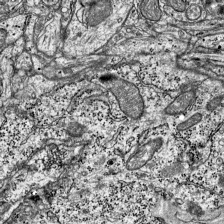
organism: Mouse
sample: Visual Cortex